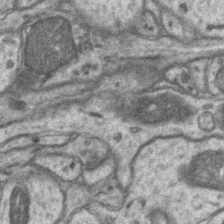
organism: Mouse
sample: CA1 Hippocampus